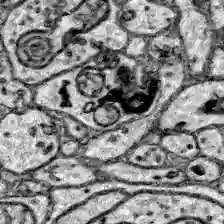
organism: Zebrafish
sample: Brain